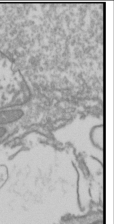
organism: Drosophila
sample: Cell division; meiosis; drosophila spermatocytes